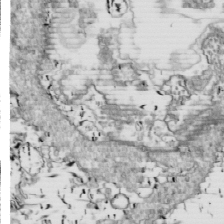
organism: Drosophila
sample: Cell division; meiosis; drosophila spermatocytes